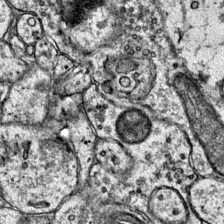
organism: Mouse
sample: Primary visual cortex